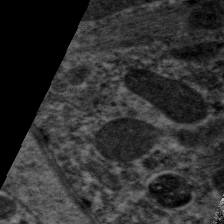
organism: C. elegans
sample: Pharynx